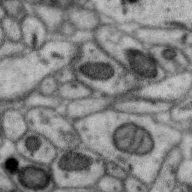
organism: Zebra finch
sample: Brain